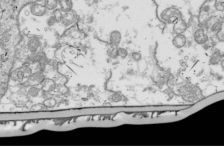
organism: Drosophila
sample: Cell division; meiosis; drosophila spermatocytes